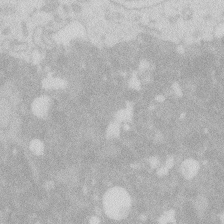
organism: Zebrafish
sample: Macrophage